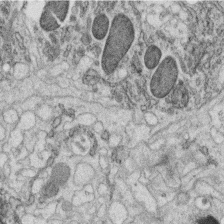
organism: C. elegans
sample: C. elegans oocyte; sperm cells